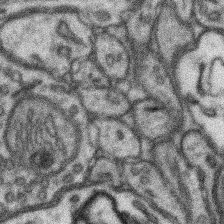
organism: Mouse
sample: Somatosensory cortex neuropil